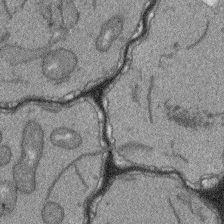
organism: Arabidopsis thaliana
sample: Root tip